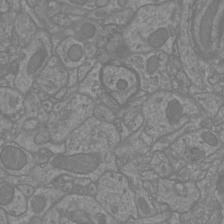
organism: Mouse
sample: Cortical neurons